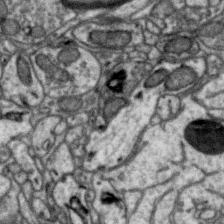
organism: Zebra finch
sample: Brain